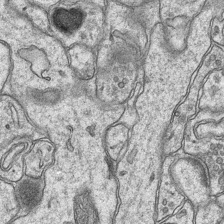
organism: Mouse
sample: CA1 Hippocampus